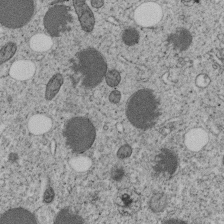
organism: C. elegans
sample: C. elegans embryo early stage